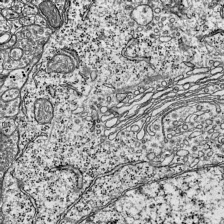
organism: Mouse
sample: Visual Cortex